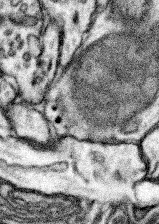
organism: Mouse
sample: Somatosensory cortex neuropil